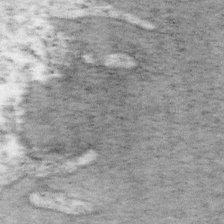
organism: Mouse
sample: OT-I killer T cells with ID8 ovarian cancer cells